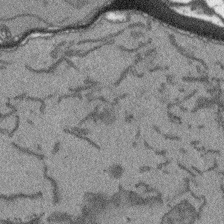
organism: Arabidopsis thaliana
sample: Root tip